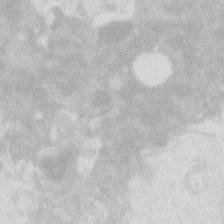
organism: Zebrafish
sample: Macrophage